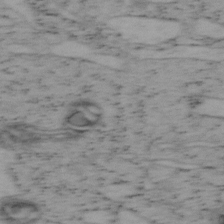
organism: Mouse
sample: OT-I killer T cells with ID8 ovarian cancer cells